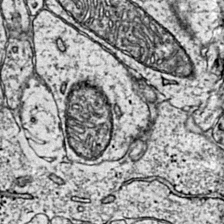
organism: Mouse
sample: Primary visual cortex